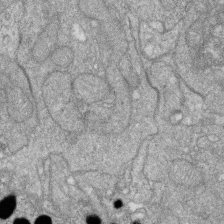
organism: Zebrafish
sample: Cilia; retinal pigment epithelium